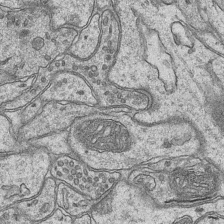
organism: Mouse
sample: CA1 Hippocampus